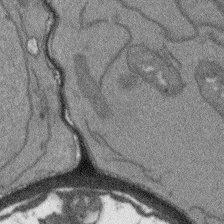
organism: Arabidopsis thaliana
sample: Root tip